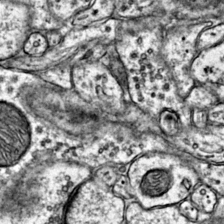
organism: Mouse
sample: Primary visual cortex